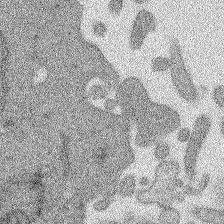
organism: Human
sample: HeLa cells